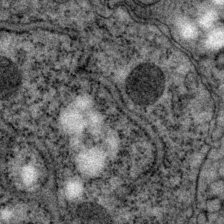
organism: P. pacificus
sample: Pharynx